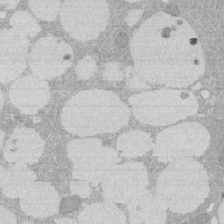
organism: Rat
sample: Salivary granule